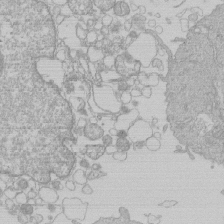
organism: Human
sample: Macrophage cells